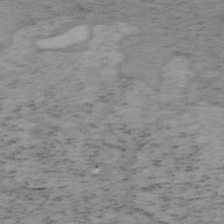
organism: Mouse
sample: OT-I killer T cells with ID8 ovarian cancer cells